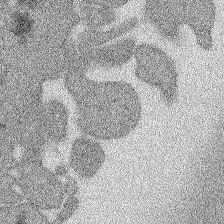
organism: Human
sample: HeLa cells